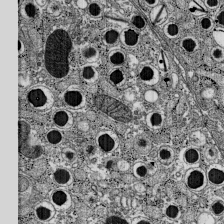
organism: C57BL Mouse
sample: Pancreatic islet